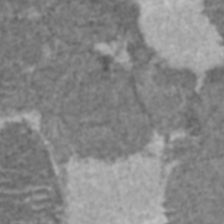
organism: C57BL Mouse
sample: Heart